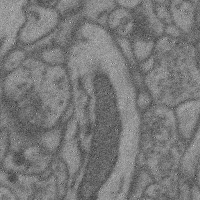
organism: Mouse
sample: Cerebral cortex